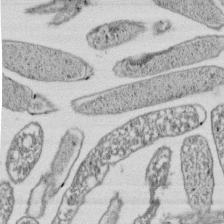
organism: E. coli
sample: Bacterial nucleoid